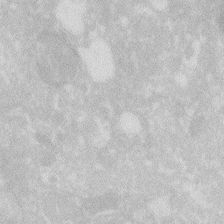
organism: Zebrafish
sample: Macrophage